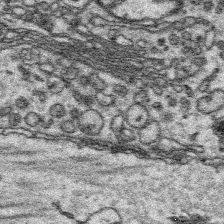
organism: Platynereis dumerilii